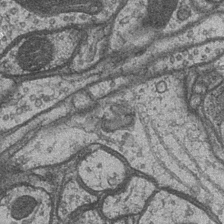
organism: Drosophila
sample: Optic medulla